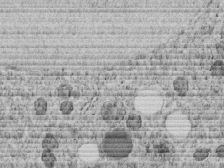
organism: C. elegans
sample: C. elegans embryo early stage